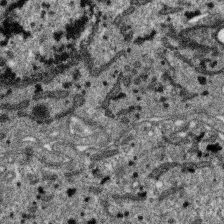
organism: Human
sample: Lung epithelial cells infected with SARS-CoV-2